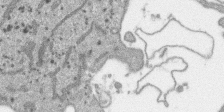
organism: Human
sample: Lung epithelial cells infected with SARS-CoV-2